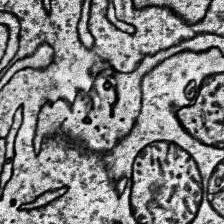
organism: Human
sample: Temporal Lobe